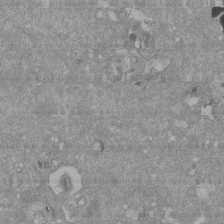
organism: Mouse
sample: ED-1 cell nuclei; centrioles